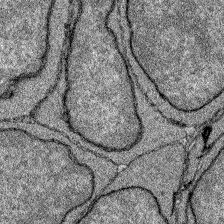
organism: Zebrafish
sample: Larval olfactory bulb